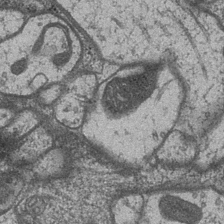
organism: Drosophila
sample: Optic medulla